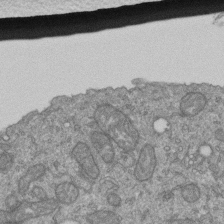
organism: Human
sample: Retinal organoid Rod and Cone cells